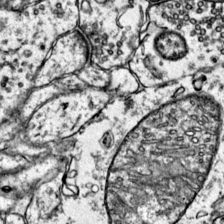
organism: Mouse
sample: Primary visual cortex